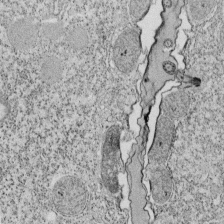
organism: Tetrahymena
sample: Cilia in tetrahymena